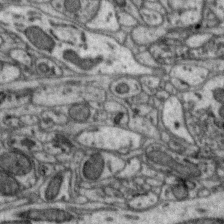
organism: Zebra finch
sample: Brain